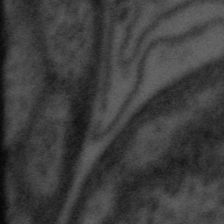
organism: Tuwongella immobilis